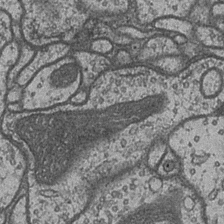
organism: Drosophila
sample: Optic medulla